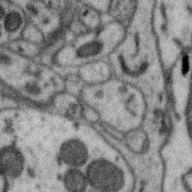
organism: Zebra finch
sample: Brain